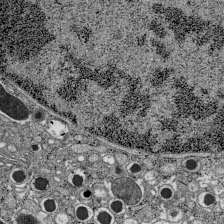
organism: C57BL Mouse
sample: Pancreatic islet